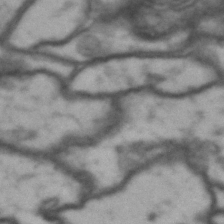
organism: Drosophila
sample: Brain